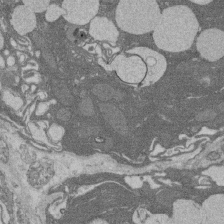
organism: Rat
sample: Salivary granule